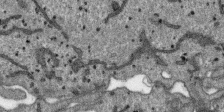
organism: Human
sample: Lung epithelial cells, uninfected (mock) control